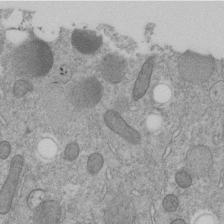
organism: C. elegans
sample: C. elegans embryo early stage